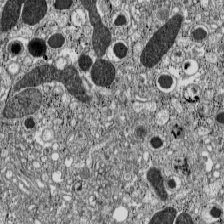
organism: C57BL Mouse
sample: Pancreatic islet